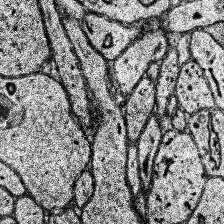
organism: Human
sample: Temporal Lobe